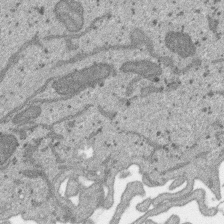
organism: Human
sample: Lung epithelial cells infected with SARS-CoV-2